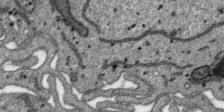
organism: Human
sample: Lung epithelial cells, uninfected (mock) control